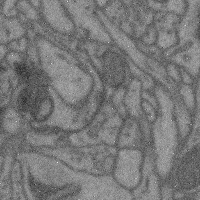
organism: Mouse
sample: Cerebral cortex